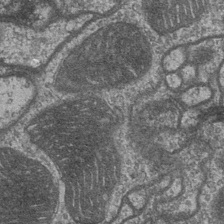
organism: Drosophila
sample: Optic medulla